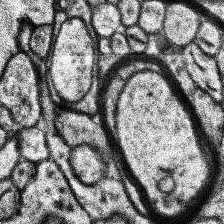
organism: Human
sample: Temporal Lobe